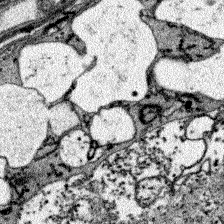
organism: Zebrafish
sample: Larval olfactory bulb